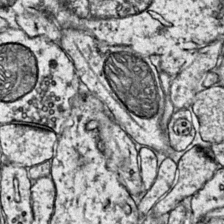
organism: Mouse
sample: Primary visual cortex